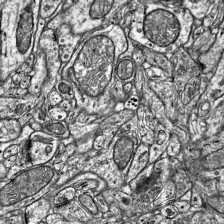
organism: Mouse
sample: Visual Cortex